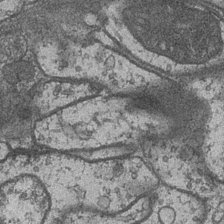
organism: Drosophila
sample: Optic medulla